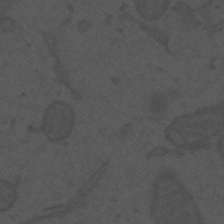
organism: Mouse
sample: Suprachiasmatic nucleus